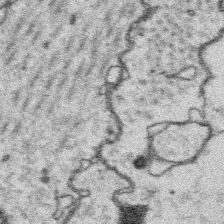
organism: Platynereis dumerilii